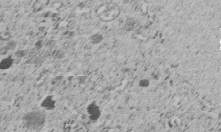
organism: C. elegans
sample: C. elegans embryo early stage